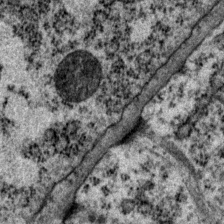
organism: P. pacificus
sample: Pharynx